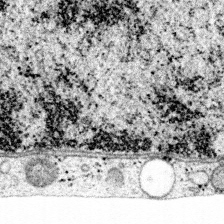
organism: Human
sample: HeLa cells